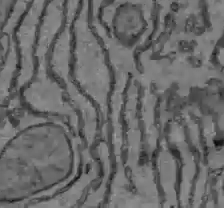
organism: C57BL Mouse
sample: Liver